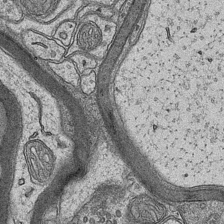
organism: Mouse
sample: CA1 Hippocampus